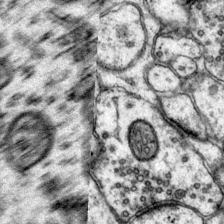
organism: Mouse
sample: Primary visual cortex